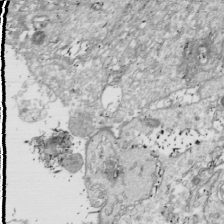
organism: Drosophila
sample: Cell division; meiosis; drosophila spermatocytes